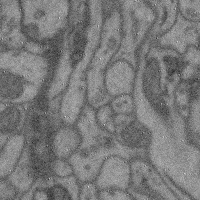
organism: Mouse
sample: Cerebral cortex